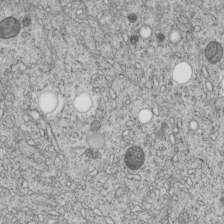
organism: C. elegans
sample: C. elegans embryo early stage